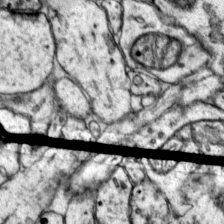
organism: Mouse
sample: Primary visual cortex